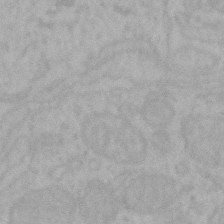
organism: Mouse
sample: Choroid plexus